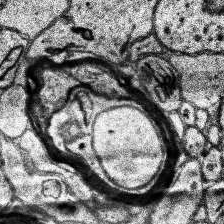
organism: Human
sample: Temporal Lobe